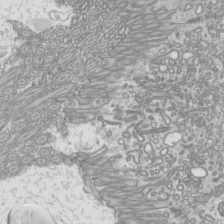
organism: Mouse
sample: Cilia; mouse epididymis